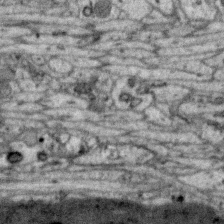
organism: Zebra finch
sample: Brain